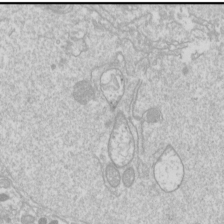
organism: Drosophila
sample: Cell division; meiosis; drosophila spermatocytes